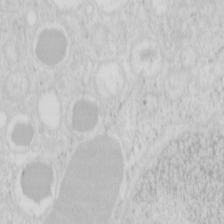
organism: Mouse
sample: Pancreas